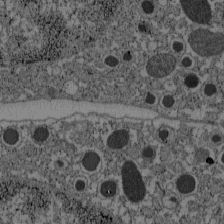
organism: C57BL Mouse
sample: Pancreatic islet